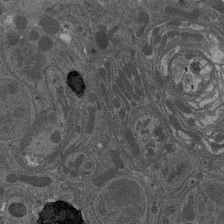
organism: Drosophila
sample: Antenna